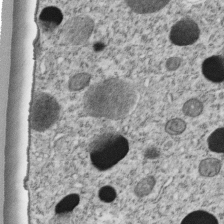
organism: C. elegans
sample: C. elegans embryo early stage